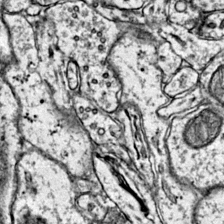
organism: Mouse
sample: Primary visual cortex